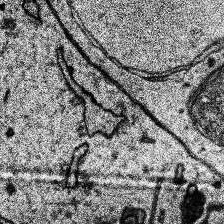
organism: Human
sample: Temporal Lobe